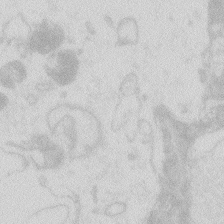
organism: Zebrafish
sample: Macrophage